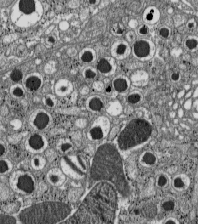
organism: C57BL Mouse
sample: Pancreatic islet